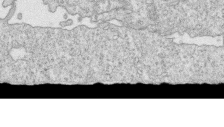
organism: Human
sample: HeLa cell HIV synapse